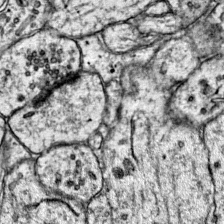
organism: Mouse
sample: Primary visual cortex